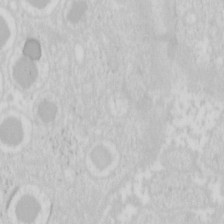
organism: Mouse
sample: Pancreas